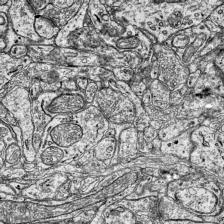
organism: Mouse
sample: Visual Cortex